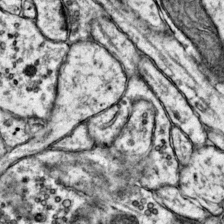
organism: Mouse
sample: Primary visual cortex